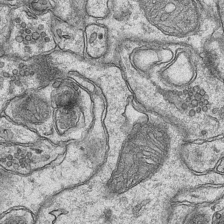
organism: Mouse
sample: CA1 Hippocampus